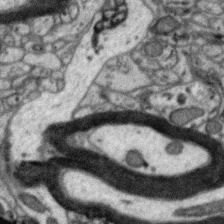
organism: Zebra finch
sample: Brain